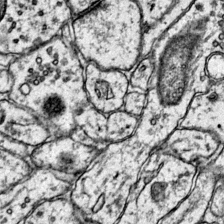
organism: Mouse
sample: Primary visual cortex